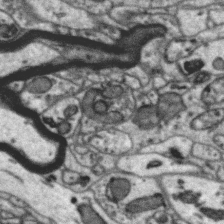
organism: Zebra finch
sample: Brain